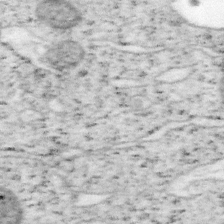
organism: Mouse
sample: OT-I killer T cells with ID8 ovarian cancer cells